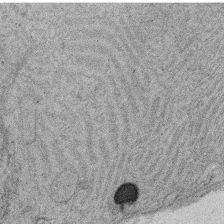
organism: Rat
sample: Salivary granule